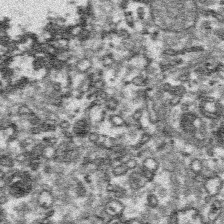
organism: Platynereis dumerilii